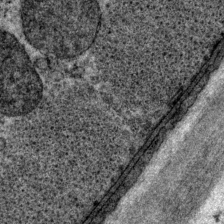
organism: P. pacificus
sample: Pharynx